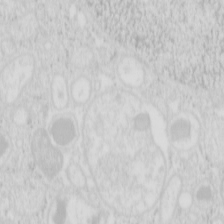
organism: Mouse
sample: Pancreas